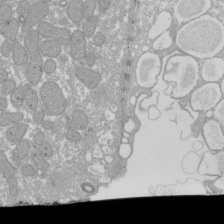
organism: Xenopus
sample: Cilia; centrioles in frog embryo cells